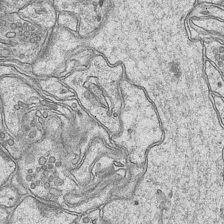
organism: Mouse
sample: CA1 Hippocampus